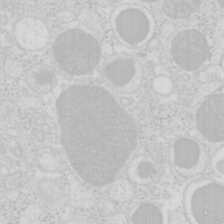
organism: Mouse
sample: Pancreas